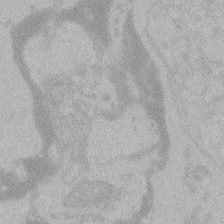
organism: Zebrafish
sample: Macrophage infected with Toxoplasma gondii